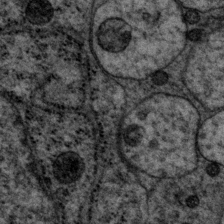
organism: P. pacificus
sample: Pharynx